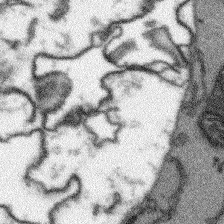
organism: Arabidopsis thaliana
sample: Root tip